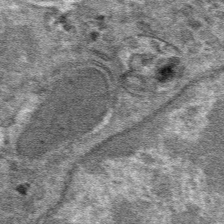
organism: Mouse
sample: Mouse hepatocytes